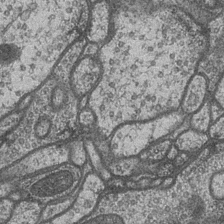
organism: Drosophila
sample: Optic medulla